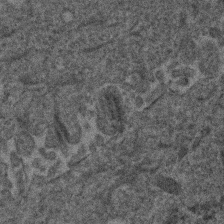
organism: Human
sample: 1205lu cells